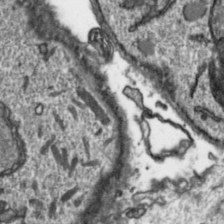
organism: Toxoplasma gondii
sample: Parasites in a vacuole inside a host cell